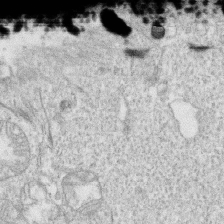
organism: Human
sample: HeLa cell HIV synapse